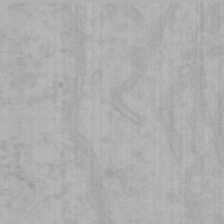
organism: Mouse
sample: Choroid plexus